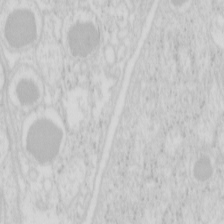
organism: Mouse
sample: Pancreas